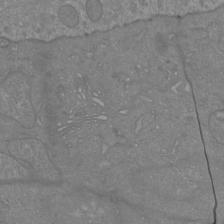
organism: Mouse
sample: Cortical neurons